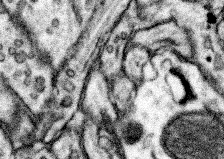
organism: Mouse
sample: Somatosensory cortex neuropil